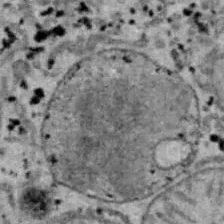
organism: Mouse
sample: Liver from an obese (ob/ob) mouse